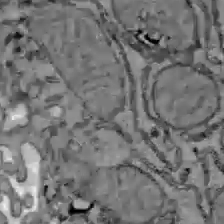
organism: C57BL Mouse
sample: Liver